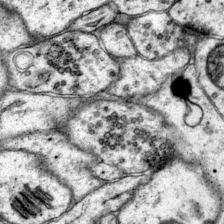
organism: Mouse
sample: Primary visual cortex